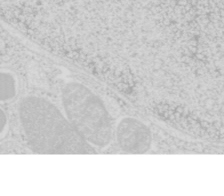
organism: Mouse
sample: Pancreas